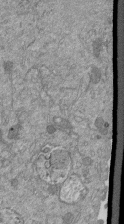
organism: Mouse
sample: ED-1 cell nuclei; centrioles